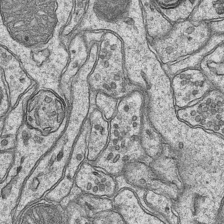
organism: Mouse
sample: CA1 Hippocampus